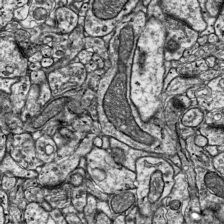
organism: Mouse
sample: Visual Cortex